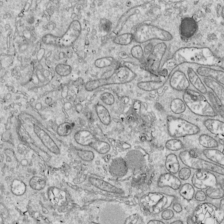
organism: Drosophila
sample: Cell division; meiosis; drosophila spermatocytes